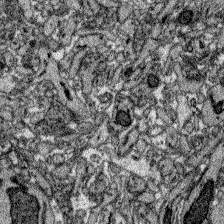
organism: Zebrafish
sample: Larval olfactory bulb